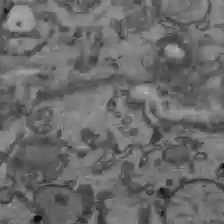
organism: C57BL Mouse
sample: Liver